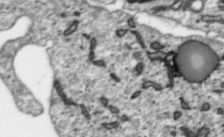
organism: Toxoplasma gondii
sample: Parasites in a vacuole inside a host cell